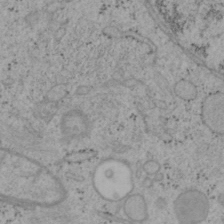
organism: Human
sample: HeLa cells